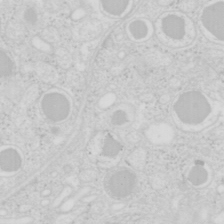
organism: Mouse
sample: Pancreas